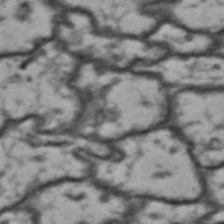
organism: Drosophila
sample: Brain